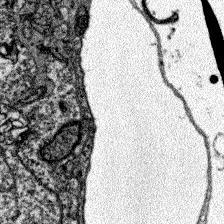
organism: Zebrafish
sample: Larval olfactory bulb